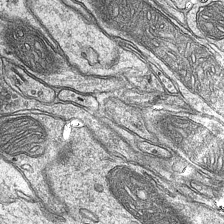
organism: Mouse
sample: CA1 Hippocampus